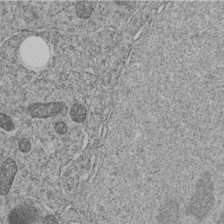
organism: C. elegans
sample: C. elegans embryo early stage